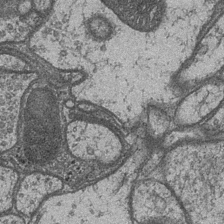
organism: Drosophila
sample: Optic medulla